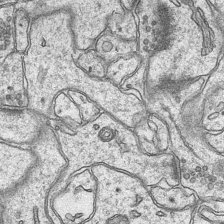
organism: Mouse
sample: CA1 Hippocampus